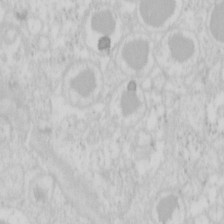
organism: Mouse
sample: Pancreas